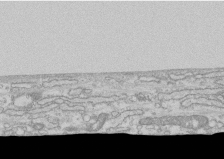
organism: Human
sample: CRL-1474